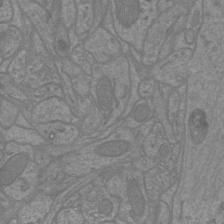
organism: Mouse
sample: Cortical neurons